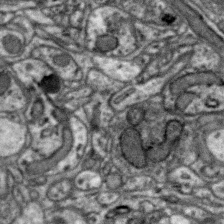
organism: Zebra finch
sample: Brain